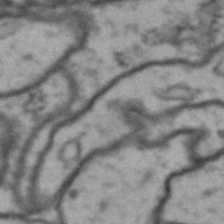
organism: Drosophila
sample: Brain